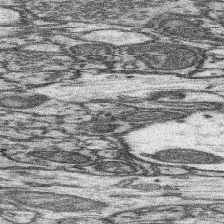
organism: Mouse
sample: Somatosensory cortex neuropil